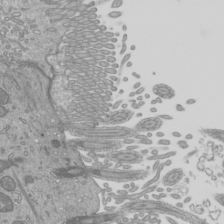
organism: Mouse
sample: Cilia; mouse epididymis